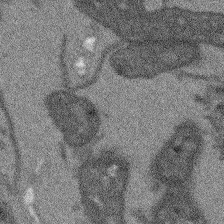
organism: Arabidopsis thaliana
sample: Root tip